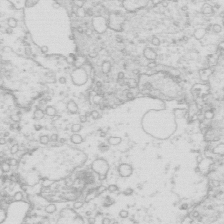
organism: Mouse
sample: Multiciliated cells